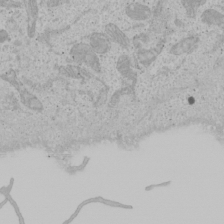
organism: Human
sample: Mitochondria in U2OS cells